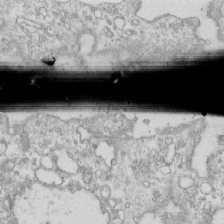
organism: Mouse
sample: Macrophages